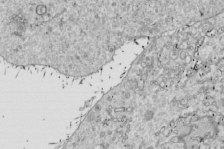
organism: Drosophila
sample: Cell division; meiosis; drosophila spermatocytes